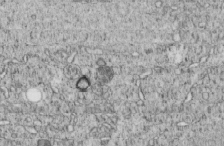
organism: C. elegans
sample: C. elegans embryo early stage